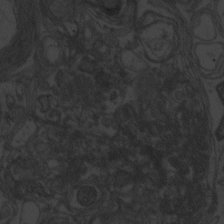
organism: Zebrafish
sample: Macrophage infected with Toxoplasma gondii